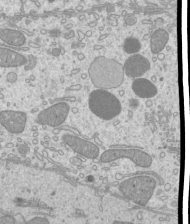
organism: Mouse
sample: Cilia; mouse epididymis